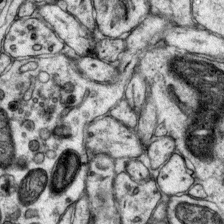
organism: Mouse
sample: Primary visual cortex